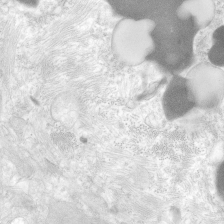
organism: Human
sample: Neocortex